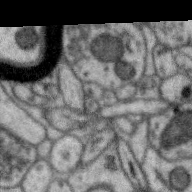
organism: Zebra finch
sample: Brain